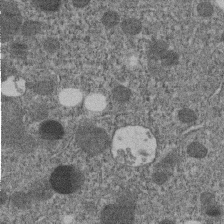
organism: C. elegans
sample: C. elegans embryo early stage